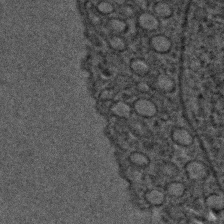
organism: C. elegans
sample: C. elegans embryo